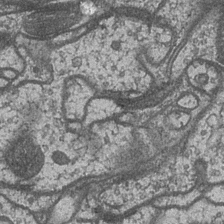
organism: Drosophila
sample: Optic medulla